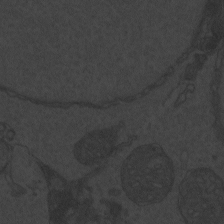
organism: Zebrafish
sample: Macrophage infected with Toxoplasma gondii